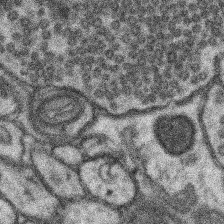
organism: Mouse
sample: Somatosensory cortex neuropil